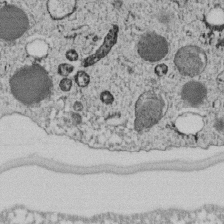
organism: C. elegans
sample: C. elegans embryo early stage